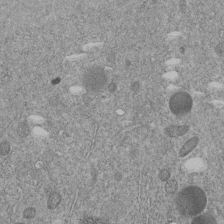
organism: C. elegans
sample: C. elegans embryo early stage